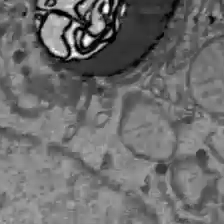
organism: C57BL Mouse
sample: Liver